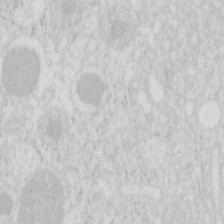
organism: Mouse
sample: Pancreas